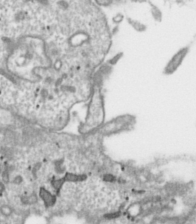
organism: Toxoplasma gondii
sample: Parasites in a vacuole inside a host cell